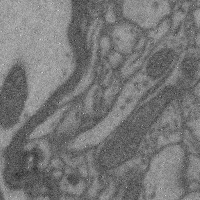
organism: Mouse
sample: Cerebral cortex